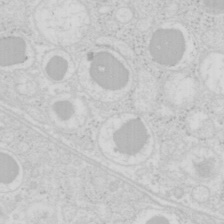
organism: Mouse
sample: Pancreas